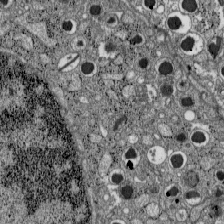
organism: C57BL Mouse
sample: Pancreatic islet